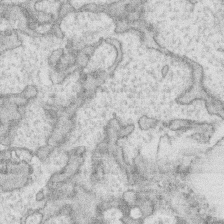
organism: Human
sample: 1205lu cells